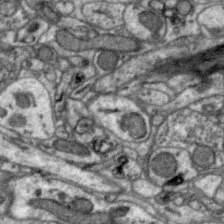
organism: Zebra finch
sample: Brain